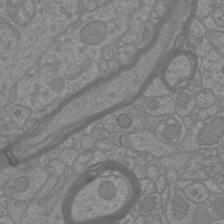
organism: Mouse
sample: Cortical neurons